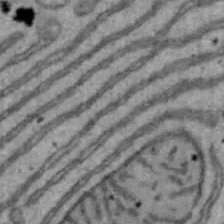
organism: Mouse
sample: Liver